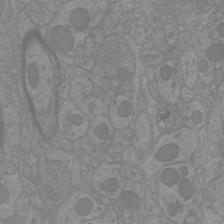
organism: Mouse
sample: Cortical neurons